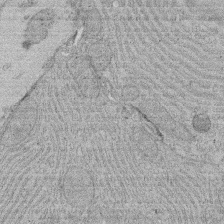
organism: Rat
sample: Salivary granule